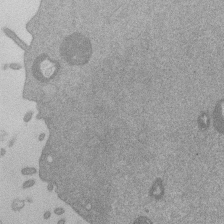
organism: Mouse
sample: Dividing mouse embryo 1 cell stage